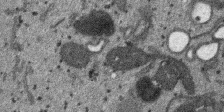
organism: Human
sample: Lung epithelial cells infected with SARS-CoV-2